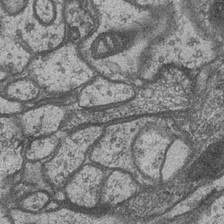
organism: Drosophila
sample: Optic medulla